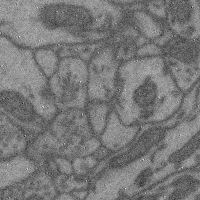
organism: Mouse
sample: Cerebral cortex